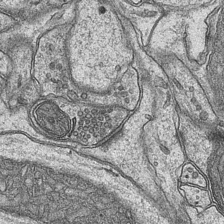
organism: Mouse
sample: CA1 Hippocampus